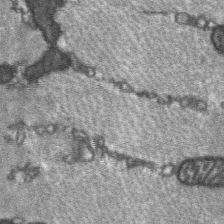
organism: C57BL Mouse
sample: Soleus